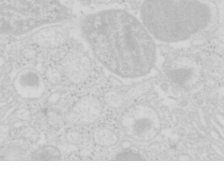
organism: Mouse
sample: Pancreas